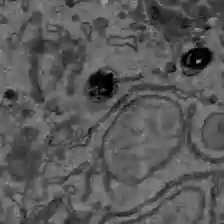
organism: C57BL Mouse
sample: Liver